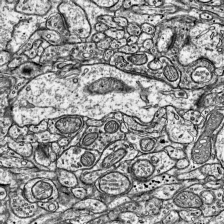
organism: Mouse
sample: Visual Cortex